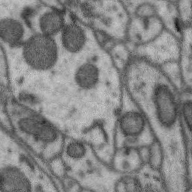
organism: Zebra finch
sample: Brain